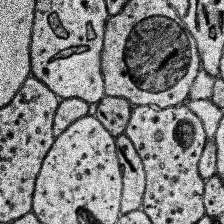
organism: Human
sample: Temporal Lobe